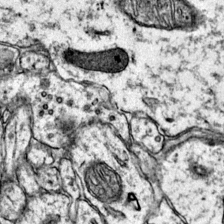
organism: Mouse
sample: Primary visual cortex